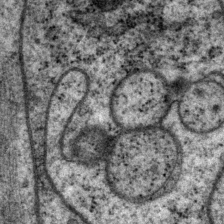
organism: P. pacificus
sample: Pharynx